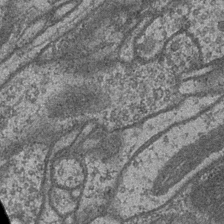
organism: Drosophila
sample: Optic medulla